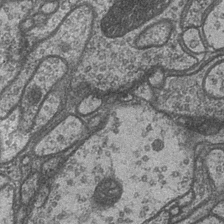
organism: Drosophila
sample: Optic medulla